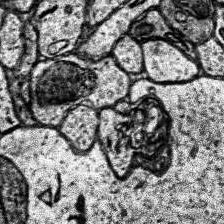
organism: Human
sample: Temporal Lobe